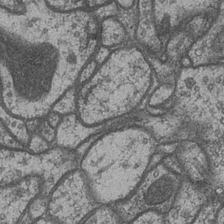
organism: Drosophila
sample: Optic medulla